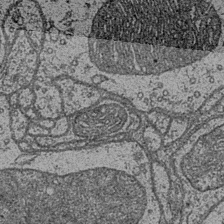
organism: Drosophila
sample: Optic medulla